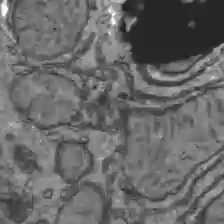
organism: C57BL Mouse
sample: Liver